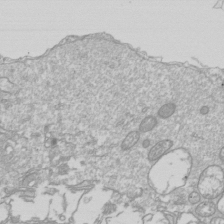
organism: Drosophila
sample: Cell division; meiosis; drosophila spermatocytes